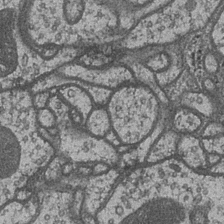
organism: Drosophila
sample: Optic medulla